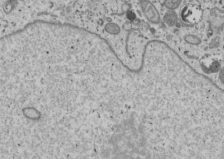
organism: Human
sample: Mitochondria in U2OS cells